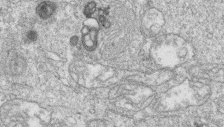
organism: Human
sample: HeLa cell HIV synapse